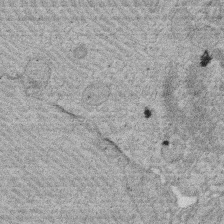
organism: Rat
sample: Salivary granule